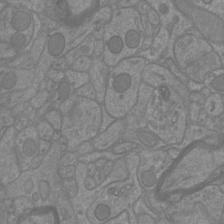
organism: Mouse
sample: Cortical neurons